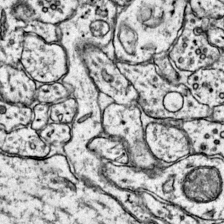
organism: Mouse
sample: Primary visual cortex